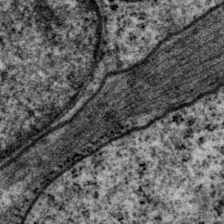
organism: P. pacificus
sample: Pharynx